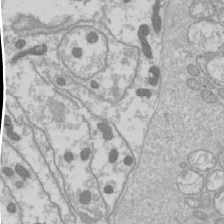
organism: Drosophila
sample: Cell division; meiosis; drosophila spermatocytes